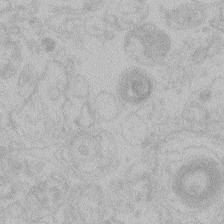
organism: Zebrafish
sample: Macrophage infected with Toxoplasma gondii